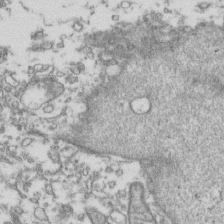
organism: Human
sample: Activated Jurkat CD4+ T cells